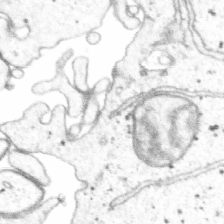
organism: Human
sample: HeLa cells